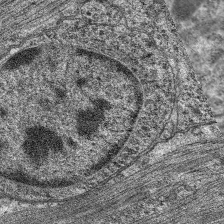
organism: C. elegans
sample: Pharynx